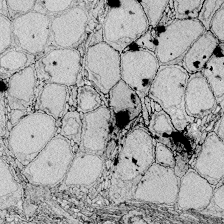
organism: Zebrafish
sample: Whole-Brain